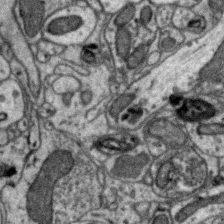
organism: Zebra finch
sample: Brain